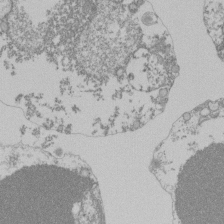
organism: Mouse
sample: Activated Pmel transgenic CD8+ T Cells